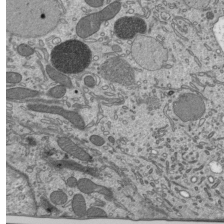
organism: Mouse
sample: Mouse epididymis efferent ductule cilia